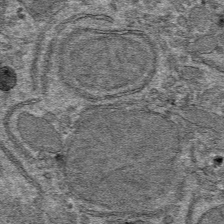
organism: Mouse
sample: Mouse hepatocytes